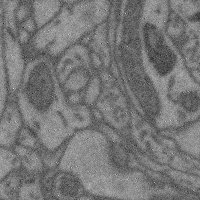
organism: Mouse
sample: Cerebral cortex